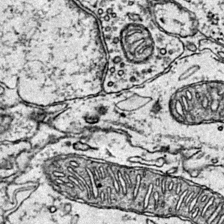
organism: Mouse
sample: Primary visual cortex